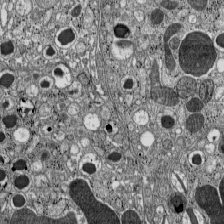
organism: C57BL Mouse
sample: Pancreatic islet